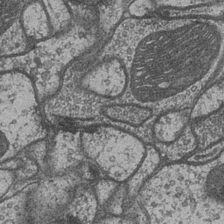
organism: Drosophila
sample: Optic medulla